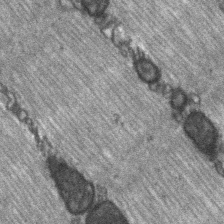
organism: C57BL Mouse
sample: Soleus